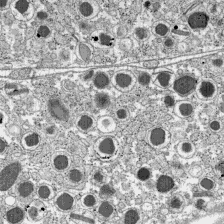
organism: C57BL Mouse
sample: Pancreatic islet